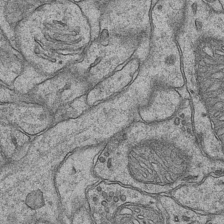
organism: Mouse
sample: CA1 Hippocampus